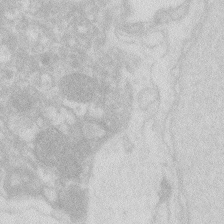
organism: Zebrafish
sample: Macrophage